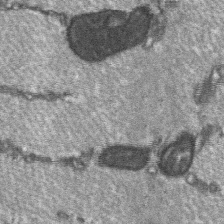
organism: C57BL Mouse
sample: Soleus